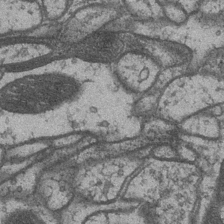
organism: Drosophila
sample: Optic medulla